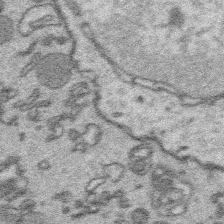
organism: Platynereis dumerilii